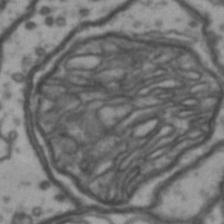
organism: Drosophila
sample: Brain